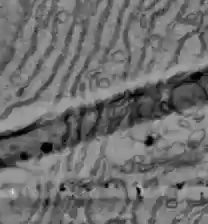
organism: C57BL Mouse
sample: Liver